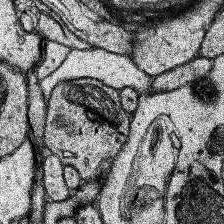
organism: Human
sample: Temporal Lobe